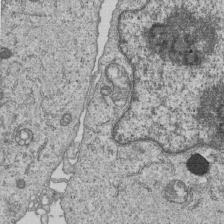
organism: Human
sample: MDA-MB-231 cells